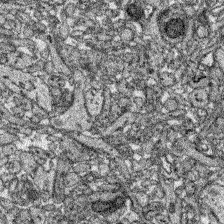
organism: Zebrafish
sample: Larval olfactory bulb